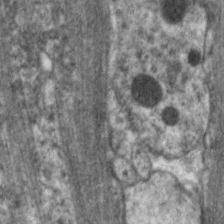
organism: C. elegans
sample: Pharynx